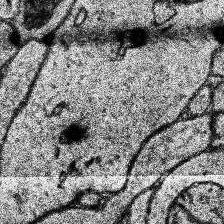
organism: Human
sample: Temporal Lobe